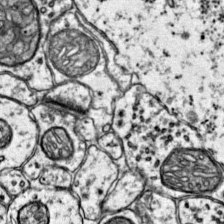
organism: Mouse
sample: Primary visual cortex